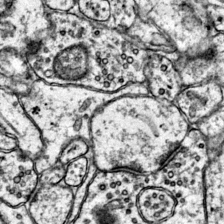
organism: Mouse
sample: Primary visual cortex